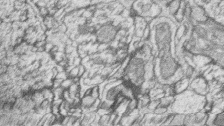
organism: Zebrafish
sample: synaptic ribbons in rod cells and cone cells